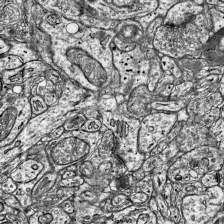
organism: Mouse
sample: Visual Cortex